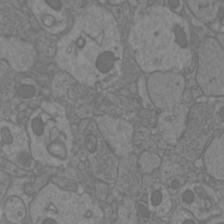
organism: Mouse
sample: Cortical neurons